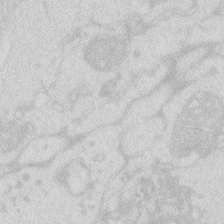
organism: Zebrafish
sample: Macrophage